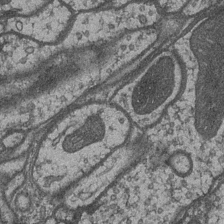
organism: Drosophila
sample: Optic medulla